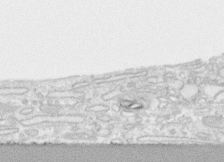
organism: Human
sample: CRL-1474